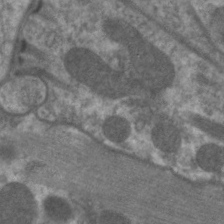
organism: C. elegans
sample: Pharynx